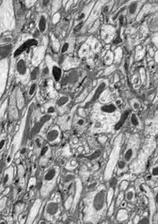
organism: Drosophila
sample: Optic lobe